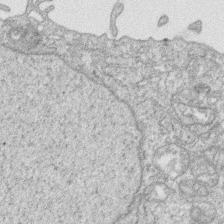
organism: Human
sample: HeLa cell HIV synapse